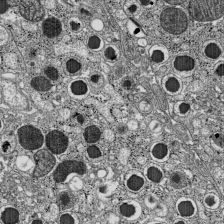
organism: C57BL Mouse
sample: Pancreatic islet